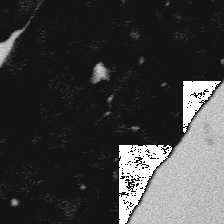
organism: Platynereis dumerilii